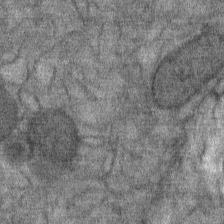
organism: Mouse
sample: Mouse Salivary gland